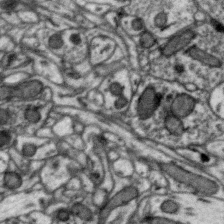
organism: Zebra finch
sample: Brain